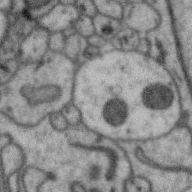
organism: Zebra finch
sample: Brain